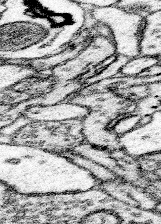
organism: Mouse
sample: Somatosensory cortex neuropil